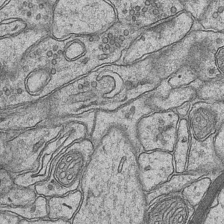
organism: Mouse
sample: CA1 Hippocampus